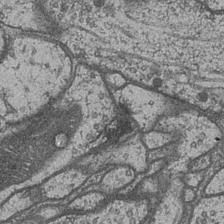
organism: Drosophila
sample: Optic medulla